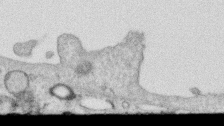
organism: Human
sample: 1205lu cells